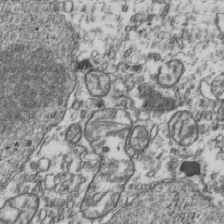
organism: Human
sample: Activated Jurkat CD4+ T cells